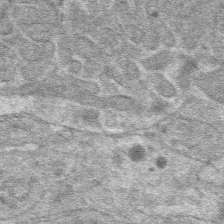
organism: Mouse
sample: Mouse hepatocytes